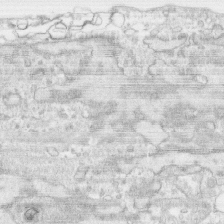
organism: Human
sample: CRL-1474